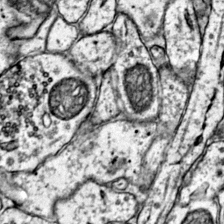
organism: Mouse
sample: Primary visual cortex